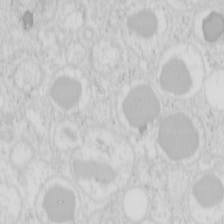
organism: Mouse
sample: Pancreas